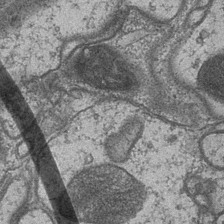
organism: Drosophila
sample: Optic medulla